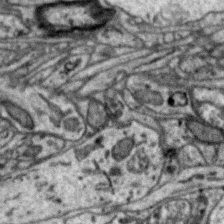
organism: Zebra finch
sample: Brain